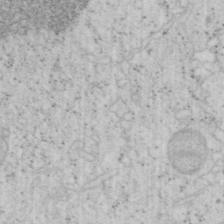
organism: Human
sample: HeLa cells